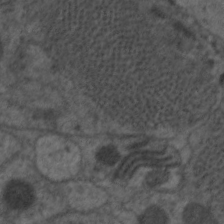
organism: C. elegans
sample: Pharynx